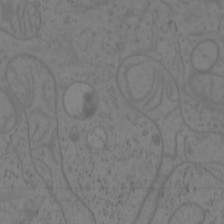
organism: Human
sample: HeLa cells